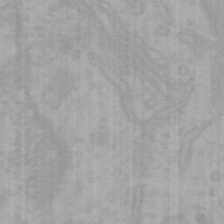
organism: Mouse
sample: Choroid plexus